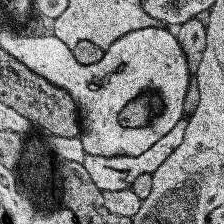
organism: Human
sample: Temporal Lobe